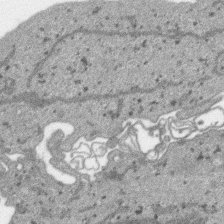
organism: Human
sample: Lung epithelial cells infected with SARS-CoV-2